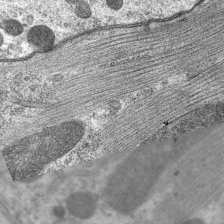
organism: C. elegans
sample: Pharynx